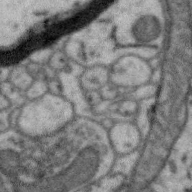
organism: Zebra finch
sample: Brain